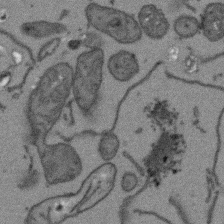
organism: Arabidopsis thaliana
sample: Root tip